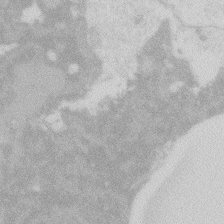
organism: Zebrafish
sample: Macrophage